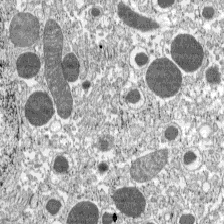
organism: C57BL Mouse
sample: Pancreatic islet